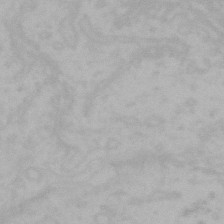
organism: Mouse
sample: Choroid plexus